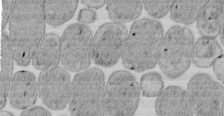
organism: E. coli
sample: Bacterial nucleoid